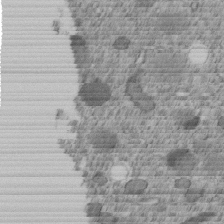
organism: C. elegans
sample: C. elegans embryo early stage